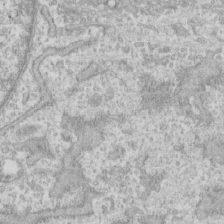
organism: Human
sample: CRL-1474